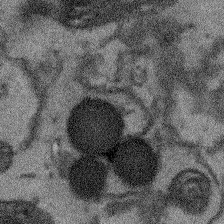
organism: Arabidopsis thaliana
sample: Root tip